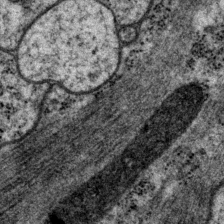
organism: P. pacificus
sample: Pharynx